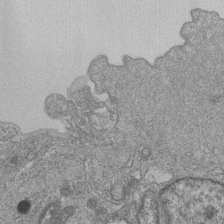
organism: Human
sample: MDA-MB-231 cells